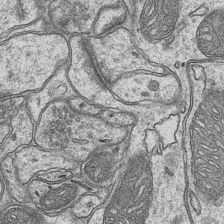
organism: Mouse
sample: CA1 Hippocampus